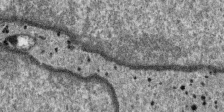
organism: Human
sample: Lung epithelial cells, uninfected (mock) control